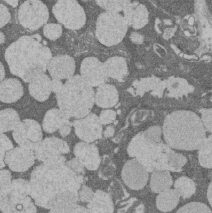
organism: Rat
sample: Salivary granule